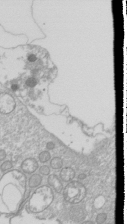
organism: Drosophila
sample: Cell division; meiosis; drosophila spermatocytes